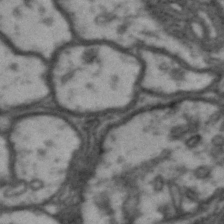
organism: Drosophila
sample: Brain